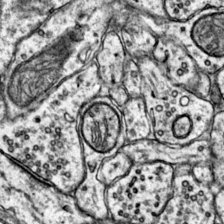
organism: Mouse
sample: Primary visual cortex